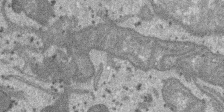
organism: Human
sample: Lung epithelial cells infected with SARS-CoV-2